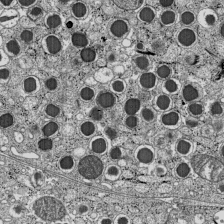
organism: C57BL Mouse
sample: Pancreatic islet